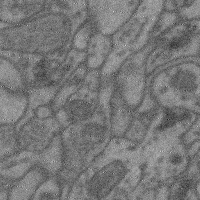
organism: Mouse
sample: Cerebral cortex